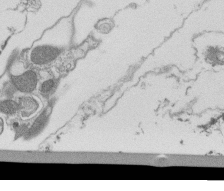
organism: Tetrahymena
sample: Cilia in tetrahymena